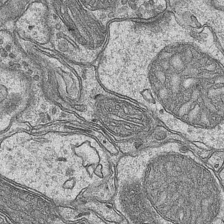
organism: Mouse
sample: CA1 Hippocampus